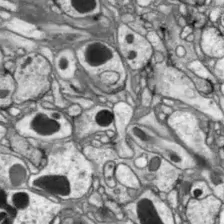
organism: Drosophila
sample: Optic lobe